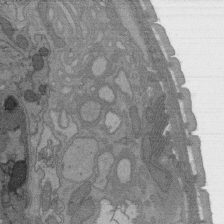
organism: C. elegans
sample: AFD neurons C. elegans